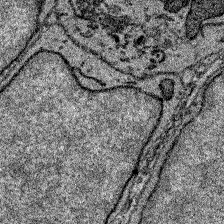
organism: Zebrafish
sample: Larval olfactory bulb